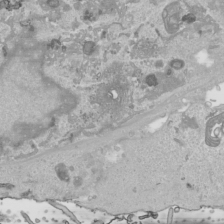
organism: Human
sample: Mitochondria in HCT116 cells